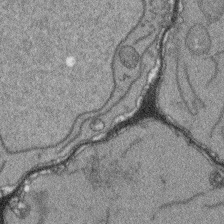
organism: Arabidopsis thaliana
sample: Root tip